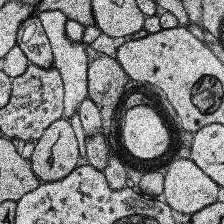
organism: Human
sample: Temporal Lobe